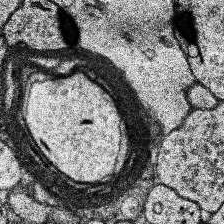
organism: Human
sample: Temporal Lobe